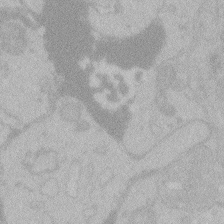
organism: Zebrafish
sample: Macrophage infected with Toxoplasma gondii